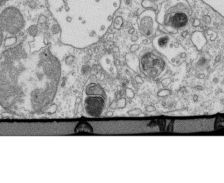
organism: Mouse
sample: Activated OT-1 CD8+ T cells